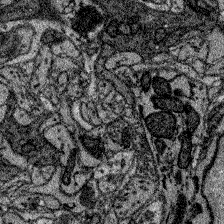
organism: Zebrafish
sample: Larval olfactory bulb